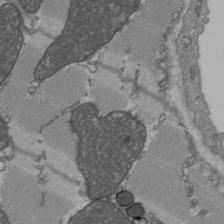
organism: C57BL Mouse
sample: Heart